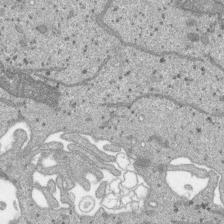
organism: Human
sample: Lung epithelial cells infected with SARS-CoV-2